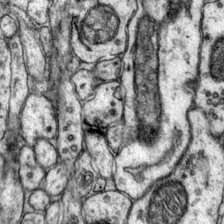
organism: Mouse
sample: Primary visual cortex